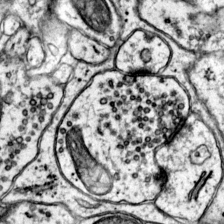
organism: Mouse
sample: Primary visual cortex